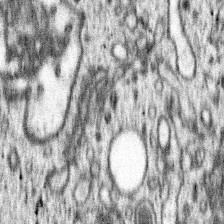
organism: Human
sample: HeLa cells